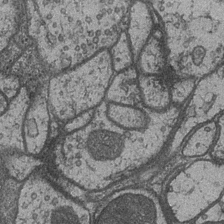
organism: Drosophila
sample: Optic medulla